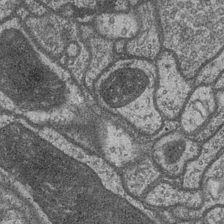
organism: Drosophila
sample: Optic medulla